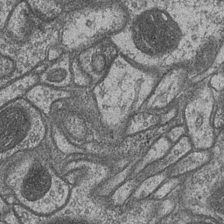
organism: Drosophila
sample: Optic medulla